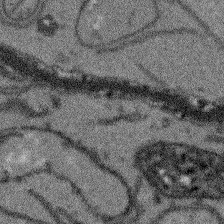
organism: Arabidopsis thaliana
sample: Root tip